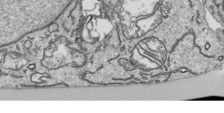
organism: Human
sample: Mitochondria in HCT116 cells